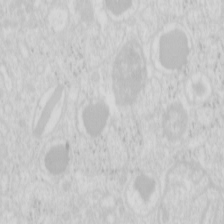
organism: Mouse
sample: Pancreas